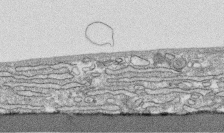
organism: Human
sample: CRL-1474